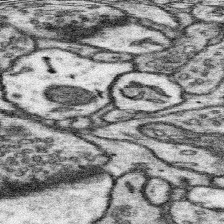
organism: Mouse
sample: Somatosensory cortex neuropil